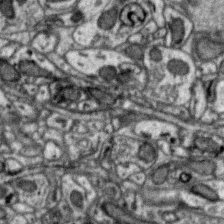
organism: Zebra finch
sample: Brain